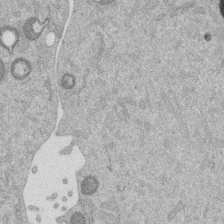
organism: Mouse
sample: Dividing mouse embryo 1 cell stage